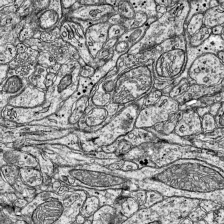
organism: Mouse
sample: Visual Cortex